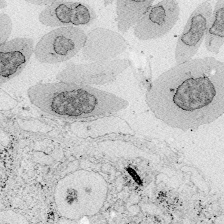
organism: Zebrafish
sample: Whole-Brain